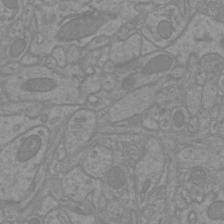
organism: Mouse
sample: Cortical neurons